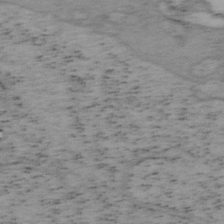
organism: Mouse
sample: OT-I killer T cells with ID8 ovarian cancer cells